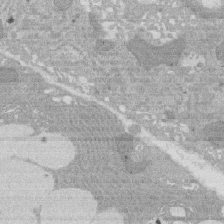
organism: Rat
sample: Salivary granule